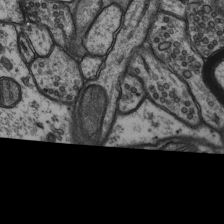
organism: Rat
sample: Hippocampus